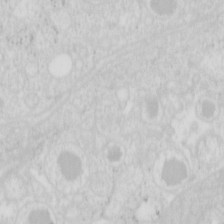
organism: Mouse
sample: Pancreas